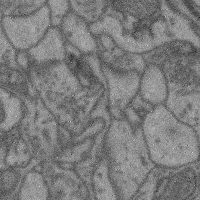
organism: Mouse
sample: Cerebral cortex